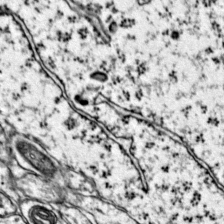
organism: Mouse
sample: Primary visual cortex